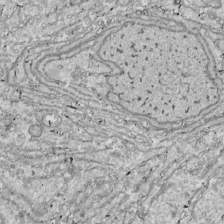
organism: Drosophila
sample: Cell division; meiosis; drosophila spermatocytes